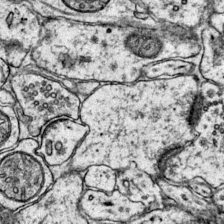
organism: Mouse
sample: Primary visual cortex